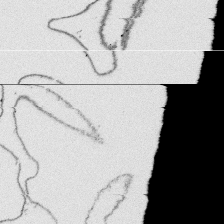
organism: Platynereis dumerilii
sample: Parapodia